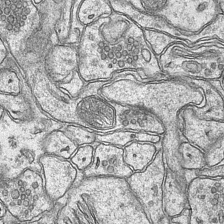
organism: Mouse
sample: CA1 Hippocampus